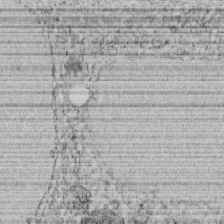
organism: C. elegans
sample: C. elegans embryo early stage